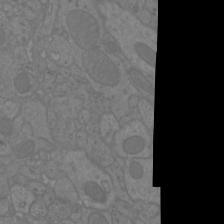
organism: Mouse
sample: Cortical neurons